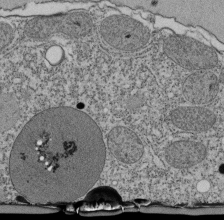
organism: Tetrahymena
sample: Cilia in tetrahymena